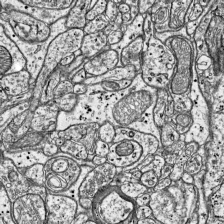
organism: Mouse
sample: Visual Cortex